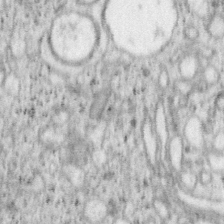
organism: Mouse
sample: OT-I killer T cells with ID8 ovarian cancer cells